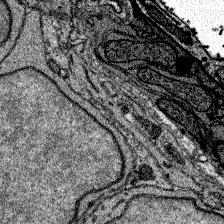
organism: Zebrafish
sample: Larval olfactory bulb